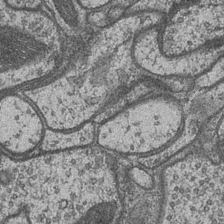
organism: Drosophila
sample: Optic medulla